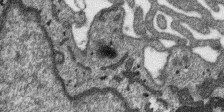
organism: Human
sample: Lung epithelial cells infected with SARS-CoV-2